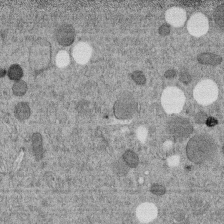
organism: C. elegans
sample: C. elegans embryo early stage